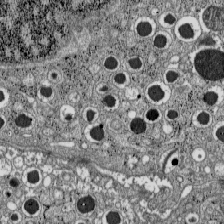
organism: C57BL Mouse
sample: Pancreatic islet